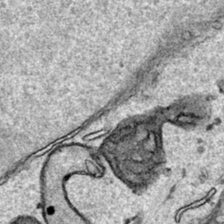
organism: Human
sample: Mitochondria in HCT116 cells